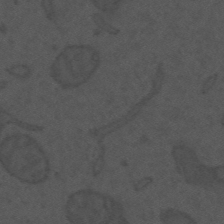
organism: Mouse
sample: Suprachiasmatic nucleus